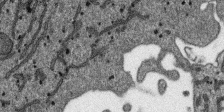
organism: Human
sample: Lung epithelial cells infected with SARS-CoV-2